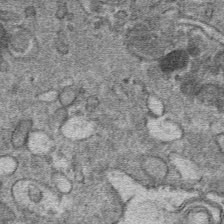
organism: Mouse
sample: Mouse hepatocytes